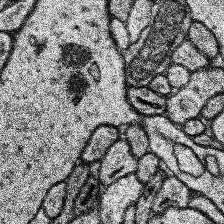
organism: Human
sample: Temporal Lobe